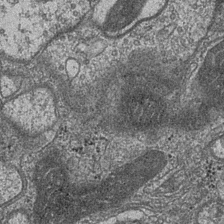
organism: Drosophila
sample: Optic medulla